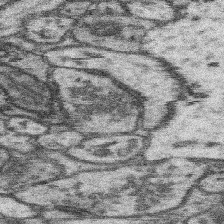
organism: Mouse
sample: Somatosensory cortex neuropil